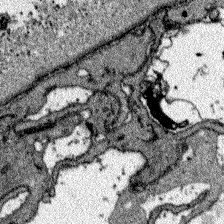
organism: Zebrafish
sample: Larval olfactory bulb